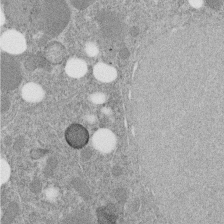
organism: C. elegans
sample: C. elegans embryo early stage